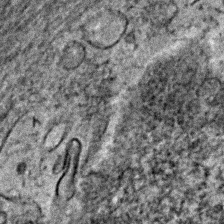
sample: Trachea